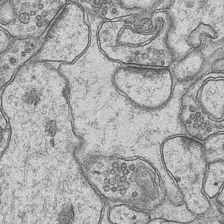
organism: Mouse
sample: CA1 Hippocampus